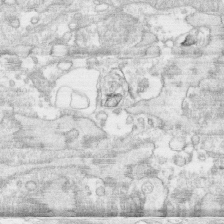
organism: Human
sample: CRL-1474